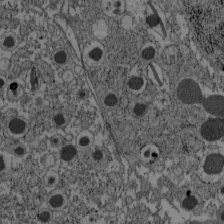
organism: C57BL Mouse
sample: Pancreatic islet